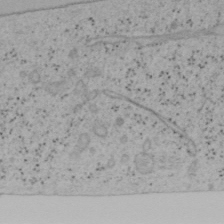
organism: Human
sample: HeLa cells